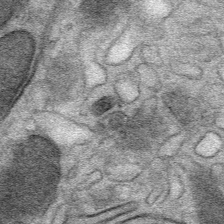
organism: Mouse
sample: Mouse Salivary gland